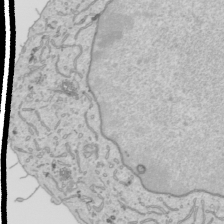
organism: Human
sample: Mitochondria in HCT116 cells